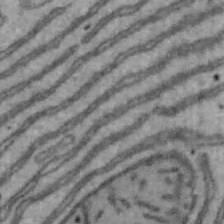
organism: Mouse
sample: Liver